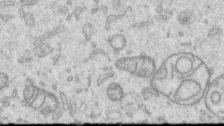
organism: Human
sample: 1205lu cells